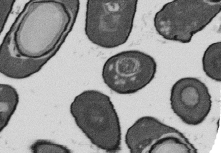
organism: B. subtilis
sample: Bacterial spore